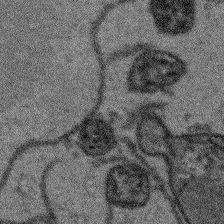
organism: Arabidopsis thaliana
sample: Root tip